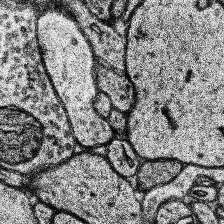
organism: Human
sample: Temporal Lobe